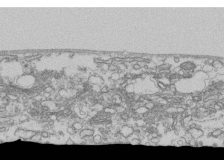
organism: Human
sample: Fibroblast cells